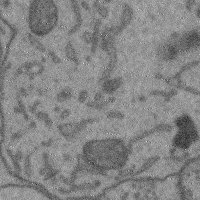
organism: Mouse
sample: Cerebral cortex